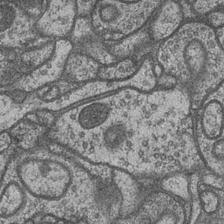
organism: Drosophila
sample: Optic medulla